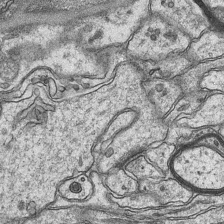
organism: Mouse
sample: CA1 Hippocampus